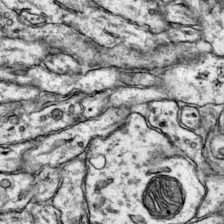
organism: Mouse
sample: Primary visual cortex